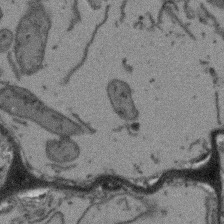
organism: Arabidopsis thaliana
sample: Root tip